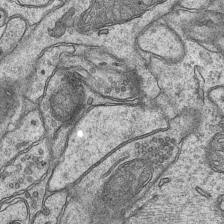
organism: Mouse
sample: CA1 Hippocampus